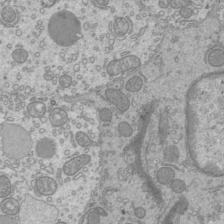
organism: Mouse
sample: Cilia; mouse epididymis